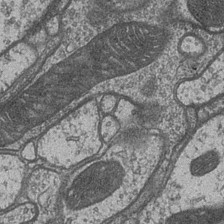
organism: Drosophila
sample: Optic medulla